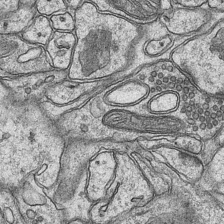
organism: Mouse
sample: CA1 Hippocampus